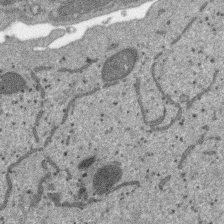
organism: Human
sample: Lung epithelial cells infected with SARS-CoV-2